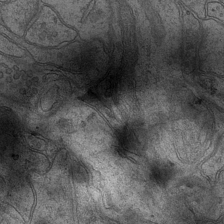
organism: Mouse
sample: CA1 Hippocampus